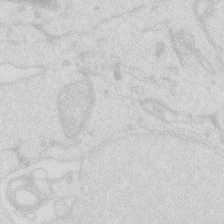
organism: Zebrafish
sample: Macrophage